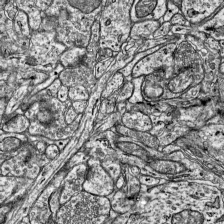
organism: Mouse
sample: Visual Cortex